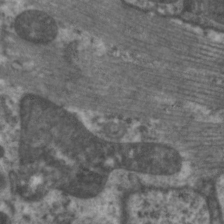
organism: C. elegans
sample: Pharynx